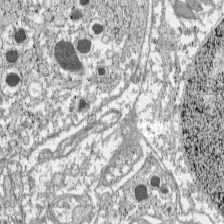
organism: C57BL Mouse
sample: Pancreatic islet